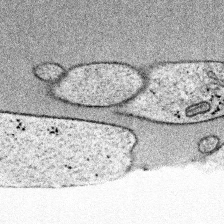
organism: Human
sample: HeLa cells